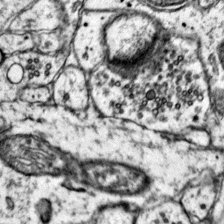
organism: Mouse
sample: Primary visual cortex